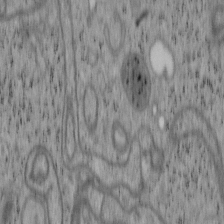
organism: Human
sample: HeLa cells